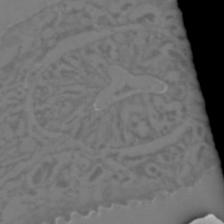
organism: C. elegans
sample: C. elegans embryo